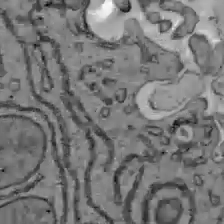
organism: C57BL Mouse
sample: Liver